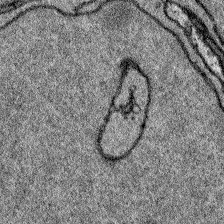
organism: Zebrafish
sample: Larval olfactory bulb